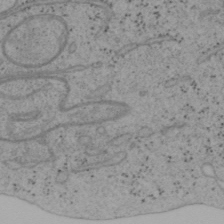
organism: Human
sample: HeLa cells